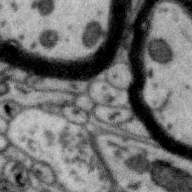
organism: Zebra finch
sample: Brain